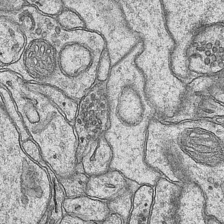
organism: Mouse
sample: CA1 Hippocampus